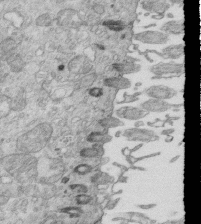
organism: Mouse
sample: Multiciliated cells